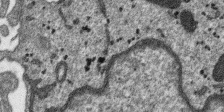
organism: Human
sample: Lung epithelial cells infected with SARS-CoV-2